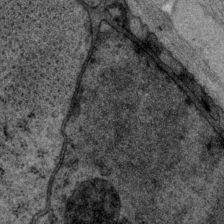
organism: P. pacificus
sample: Pharynx